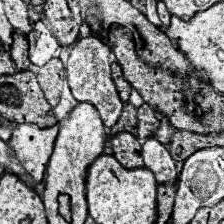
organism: Human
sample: Temporal Lobe